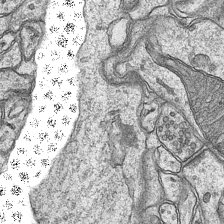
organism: Mouse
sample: CA1 Hippocampus